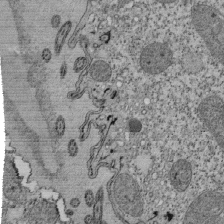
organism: Tetrahymena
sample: Cilia in tetrahymena